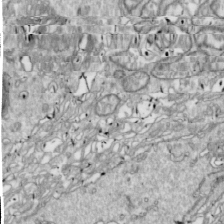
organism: Drosophila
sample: Cell division; meiosis; drosophila spermatocytes